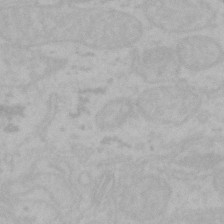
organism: Mouse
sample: Choroid plexus